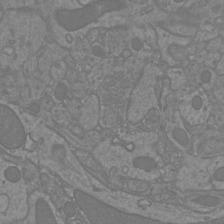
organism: Mouse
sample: Cortical neurons